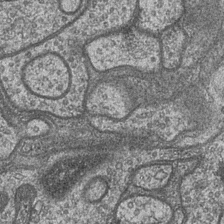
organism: Drosophila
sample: Optic medulla